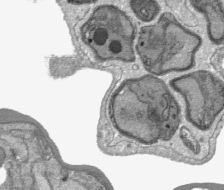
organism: Plasmodium falciparum